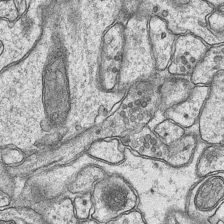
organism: Mouse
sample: CA1 Hippocampus